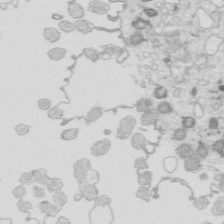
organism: Mouse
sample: Multiciliated cells